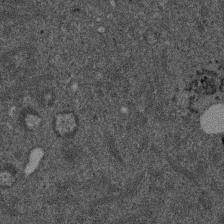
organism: Mouse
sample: Dividing mouse embryo 1 cell stage